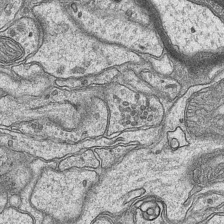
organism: Mouse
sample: CA1 Hippocampus